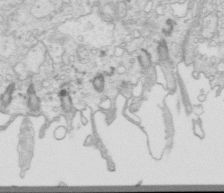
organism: Mouse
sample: Multiciliated cells